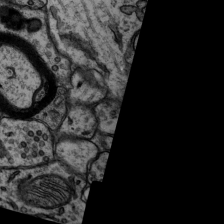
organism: Rat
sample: Hippocampus